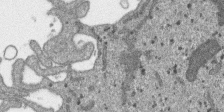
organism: Human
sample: Lung epithelial cells infected with SARS-CoV-2